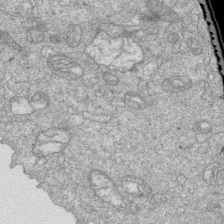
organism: Human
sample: HeLa cell HIV synapse